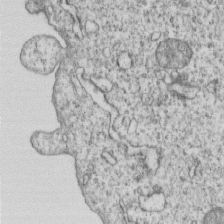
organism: Human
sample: MDA-MB-231 cells